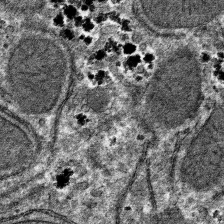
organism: Mouse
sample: Mouse hepatocytes